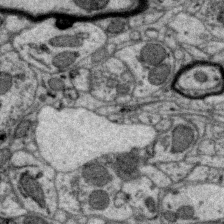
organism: Zebra finch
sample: Brain